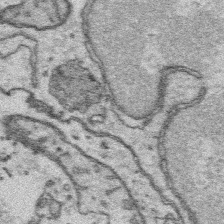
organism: Platynereis dumerilii